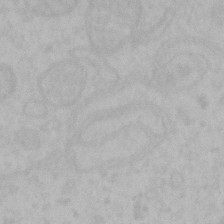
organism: Mouse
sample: Choroid plexus